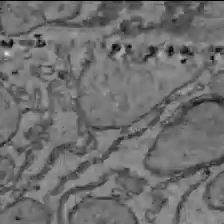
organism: C57BL Mouse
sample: Liver